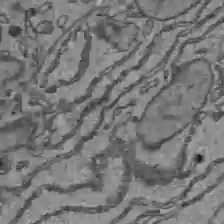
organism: C57BL Mouse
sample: Liver